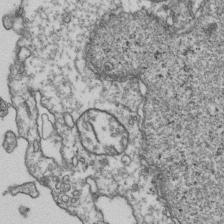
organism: Human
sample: Activated Jurkat CD4+ T cells